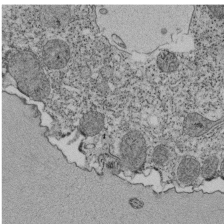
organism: Tetrahymena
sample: Cilia in tetrahymena